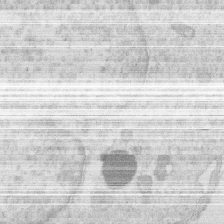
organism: Human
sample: Macrophage cells